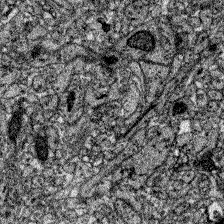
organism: Zebrafish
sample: Larval olfactory bulb